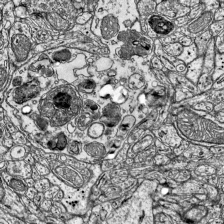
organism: Mouse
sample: Visual Cortex